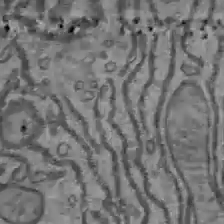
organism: C57BL Mouse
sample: Liver